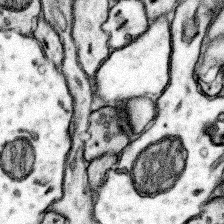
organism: Mouse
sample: Somatosensory cortex neuropil